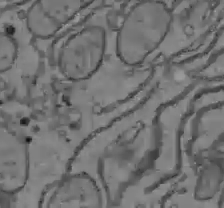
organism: C57BL Mouse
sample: Liver